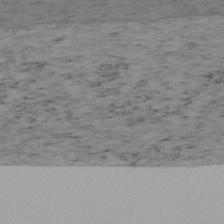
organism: Mouse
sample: OT-I killer T cells with ID8 ovarian cancer cells